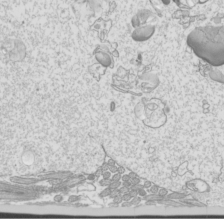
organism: Mouse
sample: Cilia; mouse epididymis